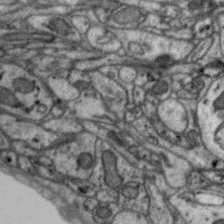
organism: Zebra finch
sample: Brain